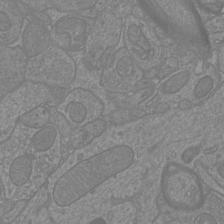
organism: Mouse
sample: Cortical neurons